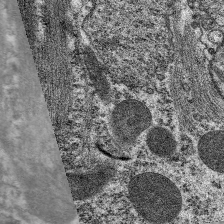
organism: C. elegans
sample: Pharynx